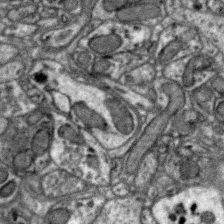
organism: Zebra finch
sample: Brain